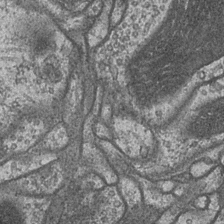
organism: Drosophila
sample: Optic medulla